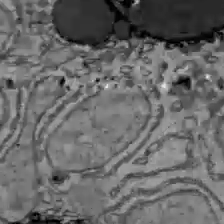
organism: C57BL Mouse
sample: Liver